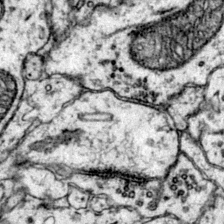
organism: Mouse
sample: Primary visual cortex